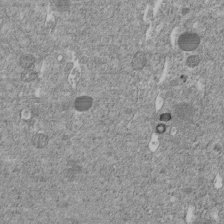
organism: C. elegans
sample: C. elegans embryo early stage